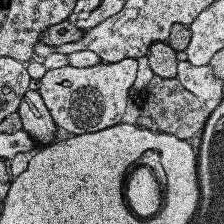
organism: Human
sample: Temporal Lobe